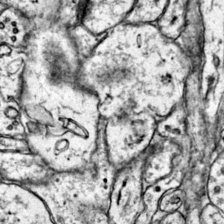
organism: Mouse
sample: Primary visual cortex